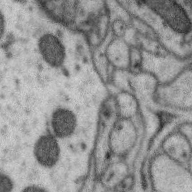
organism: Zebra finch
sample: Brain